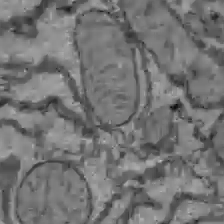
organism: C57BL Mouse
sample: Liver